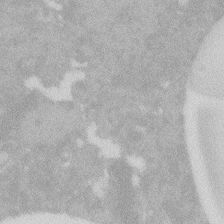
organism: Zebrafish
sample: Macrophage